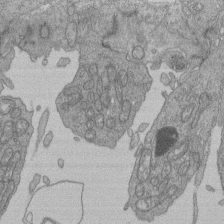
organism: Human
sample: Retinal organoid Rod and Cone cells